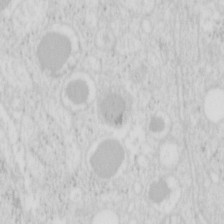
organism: Mouse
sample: Pancreas